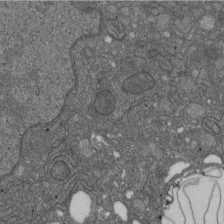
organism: Drosophila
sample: Nephrocyte